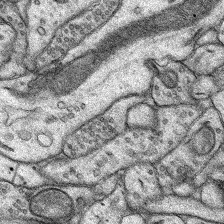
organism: Rat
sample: Hippocampus